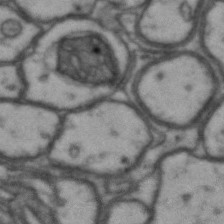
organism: Drosophila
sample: Brain